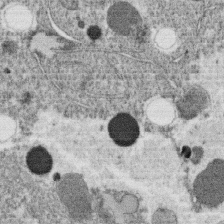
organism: C. elegans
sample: C. elegans oocyte; sperm cells